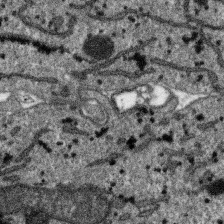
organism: Human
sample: Lung epithelial cells infected with SARS-CoV-2